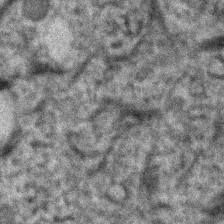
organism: Human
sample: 1205lu cells